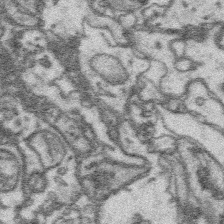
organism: Platynereis dumerilii